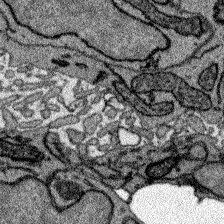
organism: Zebrafish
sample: Larval olfactory bulb